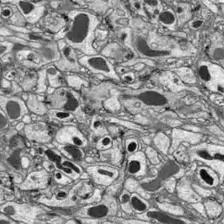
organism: Drosophila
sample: Optic lobe